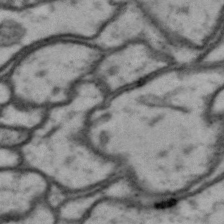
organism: Drosophila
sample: Brain